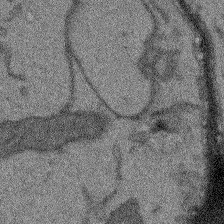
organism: Arabidopsis thaliana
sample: Root tip